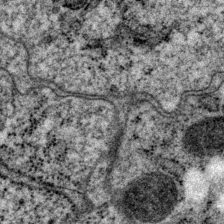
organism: P. pacificus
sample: Pharynx